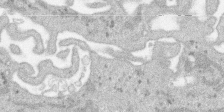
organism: Human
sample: Lung epithelial cells infected with SARS-CoV-2